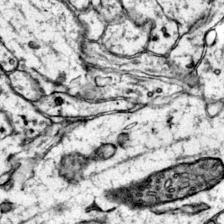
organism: Mouse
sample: Primary visual cortex